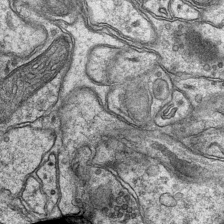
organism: Mouse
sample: CA1 Hippocampus